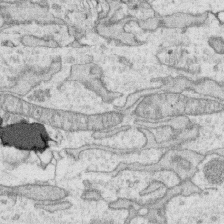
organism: Human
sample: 1205lu cells